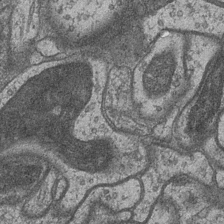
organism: Drosophila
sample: Optic medulla